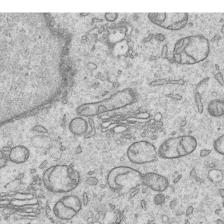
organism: Human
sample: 1205lu cells